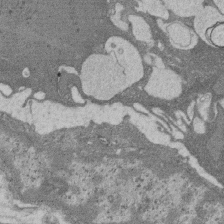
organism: Rat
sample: Salivary granule